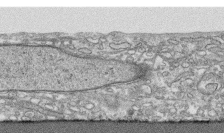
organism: Human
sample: CRL-1474